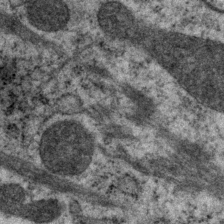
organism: P. pacificus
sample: Pharynx